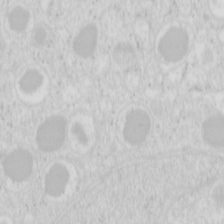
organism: Mouse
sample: Pancreas